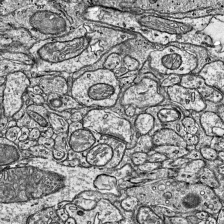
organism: Mouse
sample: Visual Cortex